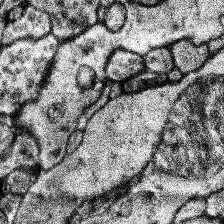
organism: Human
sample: Temporal Lobe